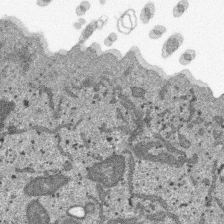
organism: Human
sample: Lung epithelial cells infected with SARS-CoV-2